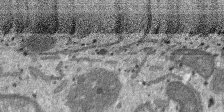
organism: Human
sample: Lung epithelial cells infected with SARS-CoV-2